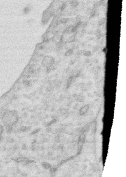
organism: Human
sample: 1205lu cells